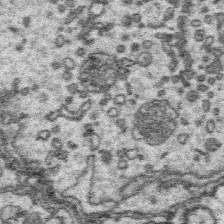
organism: Platynereis dumerilii